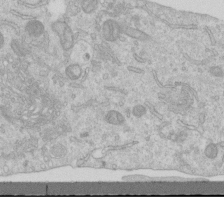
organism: Human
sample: Centriole in RPE cells